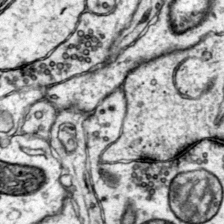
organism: Mouse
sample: Primary visual cortex